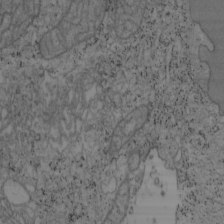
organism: Mouse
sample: OT-I killer T cells with ID8 ovarian cancer cells